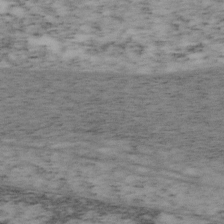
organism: Mouse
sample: OT-I killer T cells with ID8 ovarian cancer cells